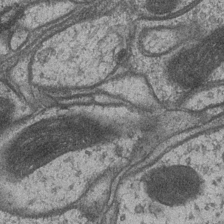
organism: Drosophila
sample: Optic medulla